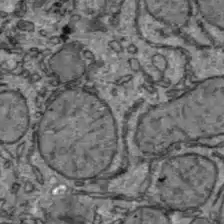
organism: C57BL Mouse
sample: Liver